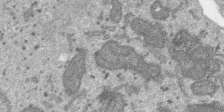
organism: Human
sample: Lung epithelial cells infected with SARS-CoV-2